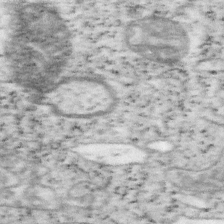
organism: Mouse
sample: OT-I killer T cells with ID8 ovarian cancer cells